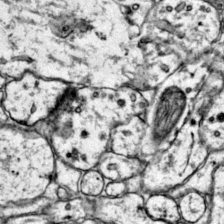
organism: Mouse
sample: Primary visual cortex